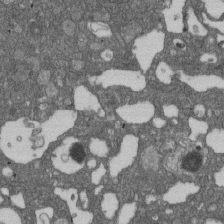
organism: Drosophila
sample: Nephrocyte